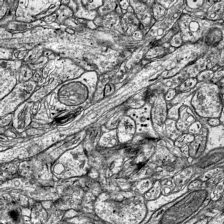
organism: Mouse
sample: Visual Cortex